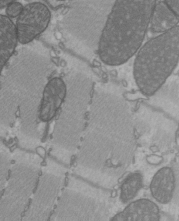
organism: C57BL Mouse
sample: Heart